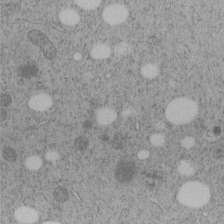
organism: C. elegans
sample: C. elegans embryo early stage